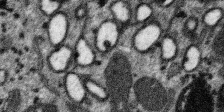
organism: Human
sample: Lung epithelial cells infected with SARS-CoV-2